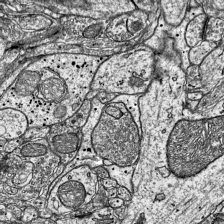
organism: Mouse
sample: Visual Cortex